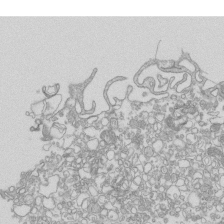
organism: Mouse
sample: Macrophages